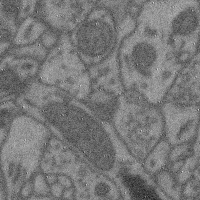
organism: Mouse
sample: Cerebral cortex